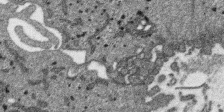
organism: Human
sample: Lung epithelial cells infected with SARS-CoV-2